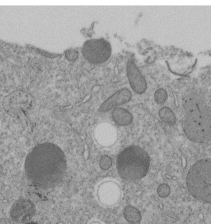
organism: C. elegans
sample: C. elegans embryo early stage